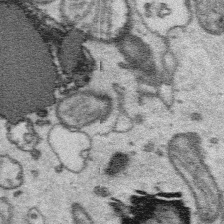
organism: Platynereis dumerilii